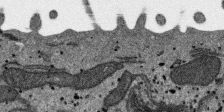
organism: Human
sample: Lung epithelial cells, uninfected (mock) control